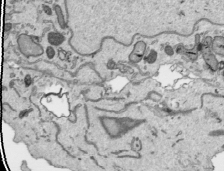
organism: Human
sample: Mitochondria in HCT116 cells